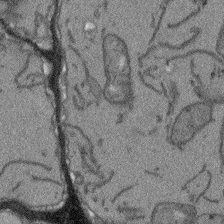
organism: Arabidopsis thaliana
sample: Root tip